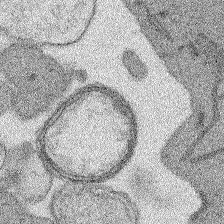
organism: Human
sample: HeLa cells